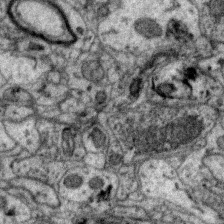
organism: Zebra finch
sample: Brain